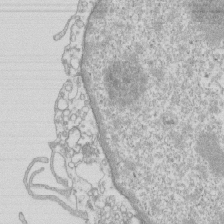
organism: Mouse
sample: Macrophages